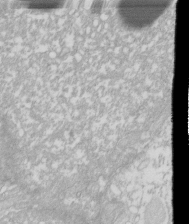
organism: Xenopus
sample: Cilia; centrioles in frog embryo cells